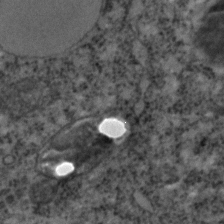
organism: C. elegans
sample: C. elegans embryo